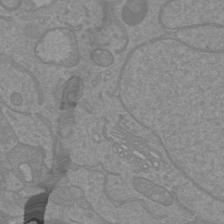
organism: Mouse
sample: Cortical neurons